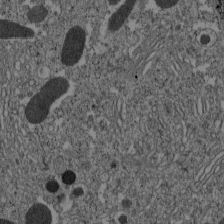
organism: C57BL Mouse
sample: Pancreatic islet